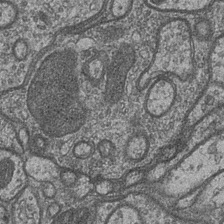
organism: Drosophila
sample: Optic medulla